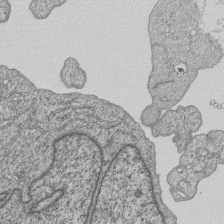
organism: Human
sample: MDA-MB-231 cells